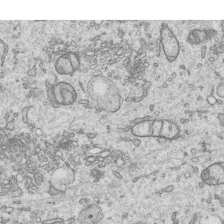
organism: Human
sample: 1205lu cells